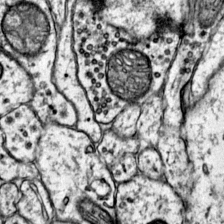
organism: Mouse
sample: Primary visual cortex